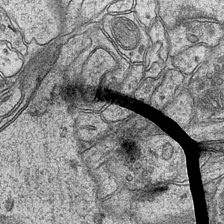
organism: Mouse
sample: CA1 Hippocampus